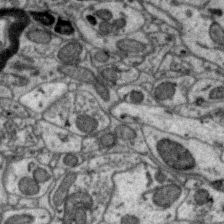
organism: Zebra finch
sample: Brain